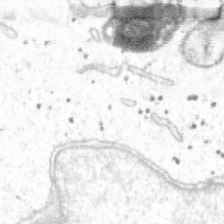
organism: Human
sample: HeLa cells